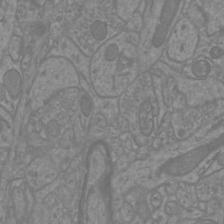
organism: Mouse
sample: Cortical neurons